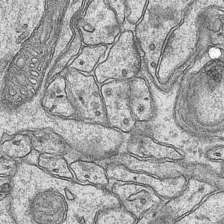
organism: Mouse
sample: CA1 Hippocampus